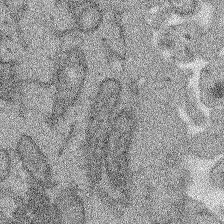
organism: Human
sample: HeLa cells